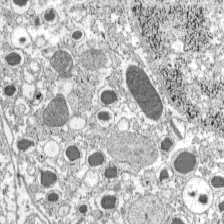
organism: C57BL Mouse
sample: Pancreatic islet